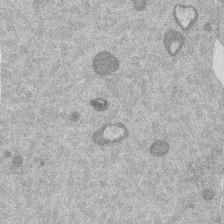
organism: Mouse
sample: Dividing mouse embryo 1 cell stage